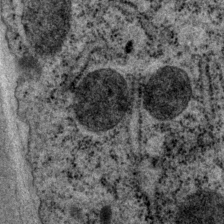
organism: P. pacificus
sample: Pharynx